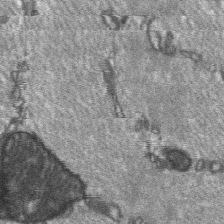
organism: C57BL Mouse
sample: Soleus